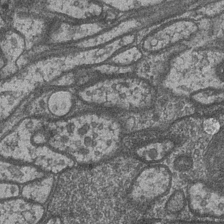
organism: Drosophila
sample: Optic medulla